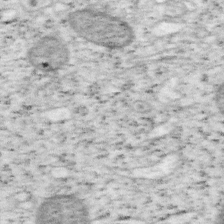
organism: Mouse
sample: OT-I killer T cells with ID8 ovarian cancer cells